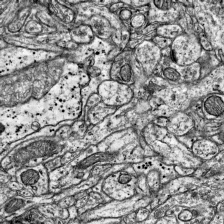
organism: Mouse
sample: Visual Cortex